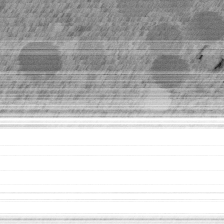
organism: C. elegans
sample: C. elegans embryo early stage